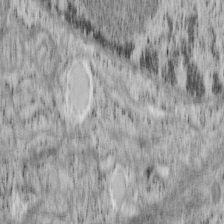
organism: Human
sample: HeLa cells